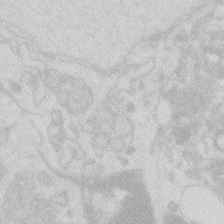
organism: Zebrafish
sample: Macrophage